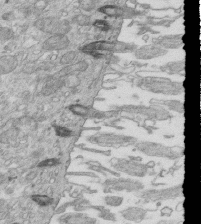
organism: Mouse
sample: Multiciliated cells